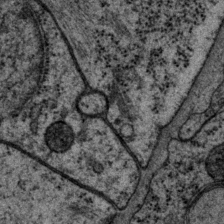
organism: P. pacificus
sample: Pharynx